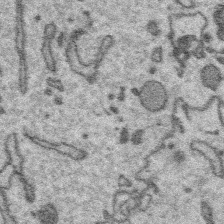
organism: Platynereis dumerilii